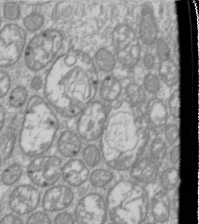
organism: Drosophila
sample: Cell division; meiosis; drosophila spermatocytes